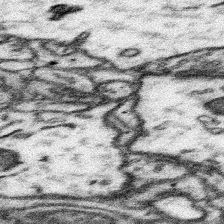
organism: Mouse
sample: Somatosensory cortex neuropil